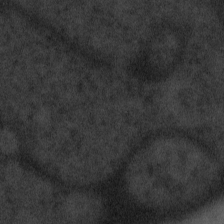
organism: Tuwongella immobilis